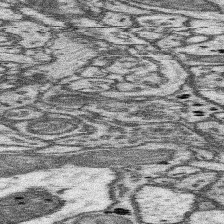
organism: Mouse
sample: Somatosensory cortex neuropil